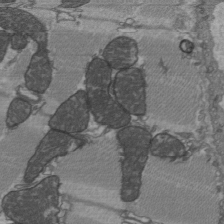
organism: C57BL Mouse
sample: Heart